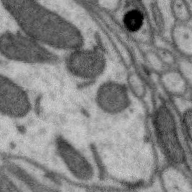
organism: Zebra finch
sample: Brain